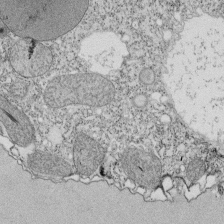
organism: Tetrahymena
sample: Cilia in tetrahymena